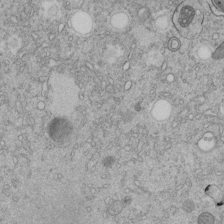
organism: C. elegans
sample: C. elegans embryo early stage